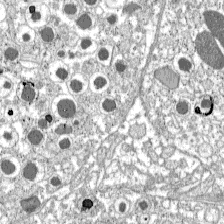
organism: C57BL Mouse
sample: Pancreatic islet